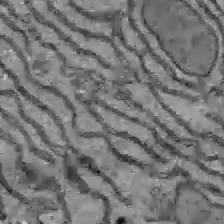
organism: C57BL Mouse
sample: Liver